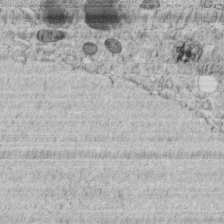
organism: C. elegans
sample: C. elegans embryo early stage